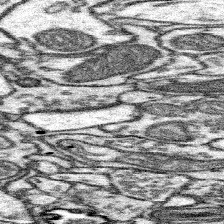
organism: Mouse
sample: Somatosensory cortex neuropil